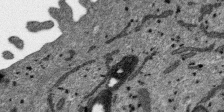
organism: Human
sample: Lung epithelial cells, uninfected (mock) control